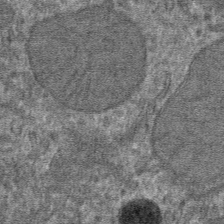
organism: Mouse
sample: Mouse hepatocytes